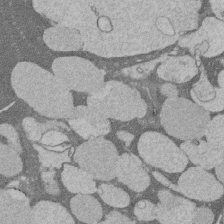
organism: Rat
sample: Salivary granule